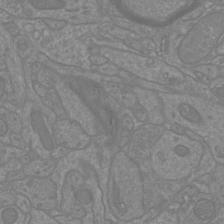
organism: Mouse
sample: Cortical neurons